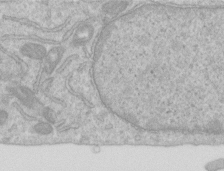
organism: Human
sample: Centriole in RPE cells